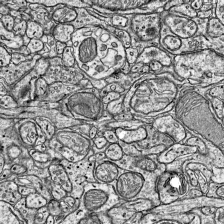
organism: Mouse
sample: Visual Cortex